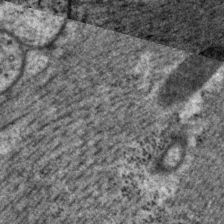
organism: P. pacificus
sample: Pharynx